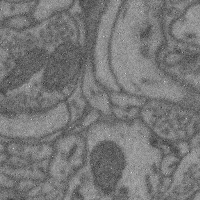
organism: Mouse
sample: Cerebral cortex